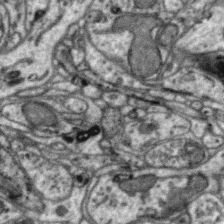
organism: Zebra finch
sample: Brain